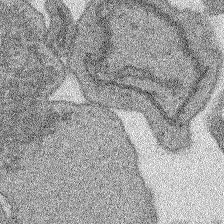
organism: Human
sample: HeLa cells